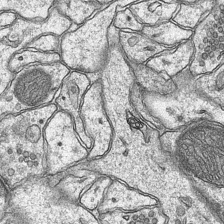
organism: Mouse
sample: CA1 Hippocampus